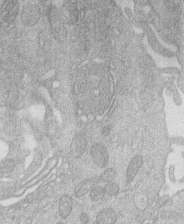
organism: Human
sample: Macrophage cells